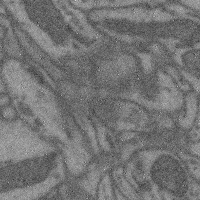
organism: Mouse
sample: Cerebral cortex